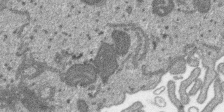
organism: Human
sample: Lung epithelial cells infected with SARS-CoV-2